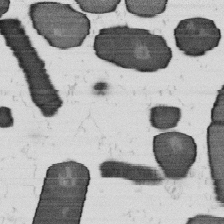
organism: B. subtilis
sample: Bacterial spore